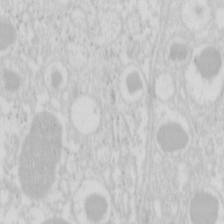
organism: Mouse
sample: Pancreas